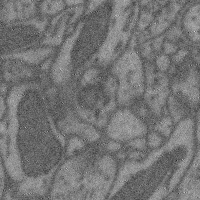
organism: Mouse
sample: Cerebral cortex